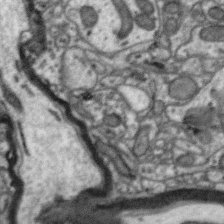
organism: Zebra finch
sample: Brain